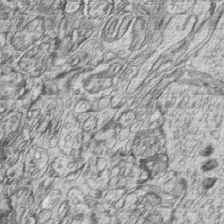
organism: Zebrafish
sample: synaptic ribbons in rod cells and cone cells